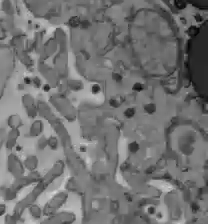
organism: C57BL Mouse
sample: Liver